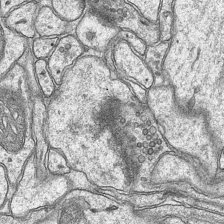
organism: Mouse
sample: CA1 Hippocampus